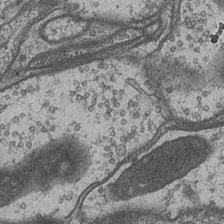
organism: Drosophila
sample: Optic medulla